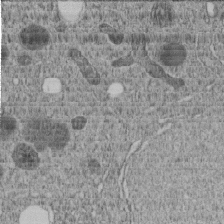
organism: C. elegans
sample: C. elegans embryo early stage